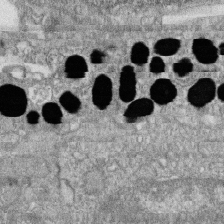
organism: Zebrafish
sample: Cilia; retinal pigment epithelium